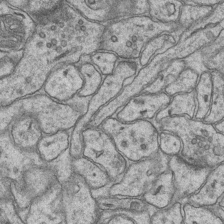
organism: Mouse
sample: CA1 Hippocampus